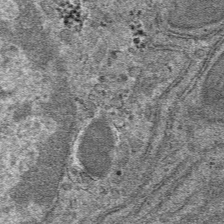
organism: Mouse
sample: Mouse hepatocytes